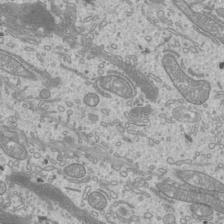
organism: Mouse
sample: Cilia; mouse epididymis